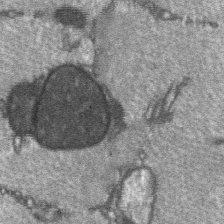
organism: C57BL Mouse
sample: Soleus